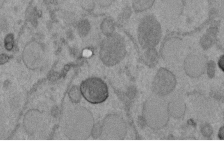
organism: C. elegans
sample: C. elegans embryo early stage